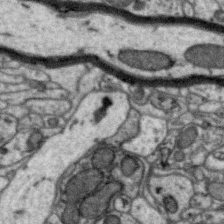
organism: Zebra finch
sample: Brain